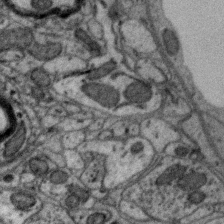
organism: Zebra finch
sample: Brain